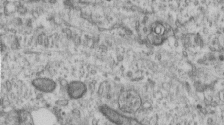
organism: Human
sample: Centriole in RPE cells